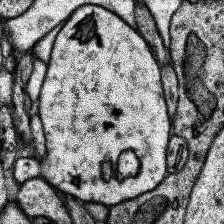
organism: Human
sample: Temporal Lobe